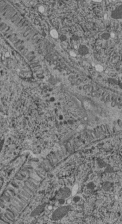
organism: C. elegans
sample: C. elegans pharynx